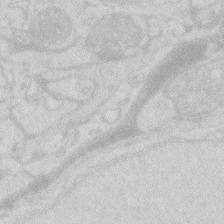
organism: Zebrafish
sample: Macrophage